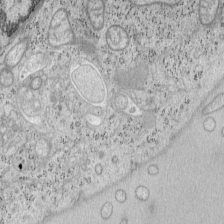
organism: Mouse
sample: OT-I killer T cells with ID8 ovarian cancer cells